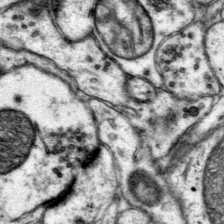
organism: Mouse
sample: Primary visual cortex